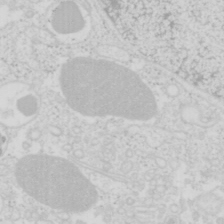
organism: Mouse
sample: Pancreas